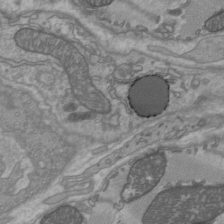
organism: C57BL Mouse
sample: Heart